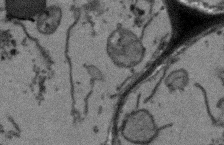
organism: Arabidopsis thaliana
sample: Root tip